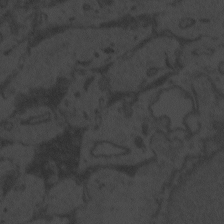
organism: Zebrafish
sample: Macrophage infected with Toxoplasma gondii